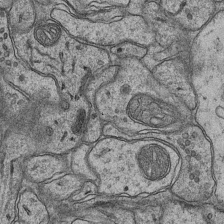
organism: Mouse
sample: CA1 Hippocampus